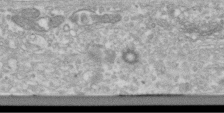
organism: Human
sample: Centriole in RPE cells